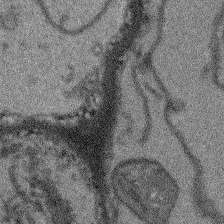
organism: Arabidopsis thaliana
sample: Root tip